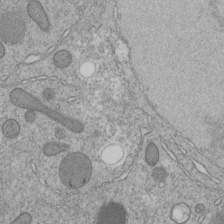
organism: C. elegans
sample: C. elegans embryo early stage